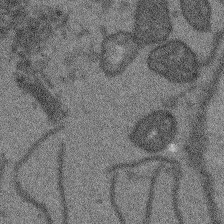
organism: Arabidopsis thaliana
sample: Root tip